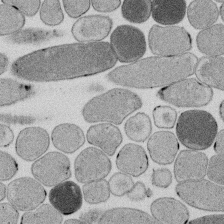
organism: E. coli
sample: Bacterial nucleoid